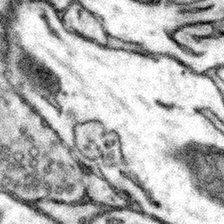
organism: Mouse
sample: Somatosensory cortex neuropil